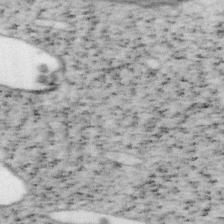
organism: Mouse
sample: OT-I killer T cells with ID8 ovarian cancer cells